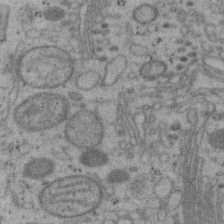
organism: Human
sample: HeLa cells